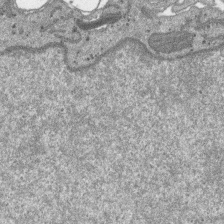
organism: Human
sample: Lung epithelial cells infected with SARS-CoV-2